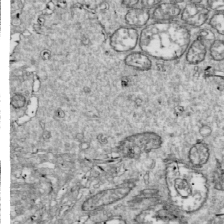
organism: Drosophila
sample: Cell division; meiosis; drosophila spermatocytes